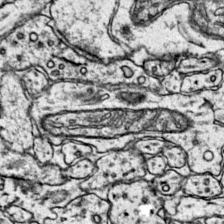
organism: Mouse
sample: Primary visual cortex